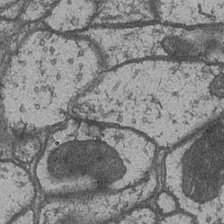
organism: Drosophila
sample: Optic medulla